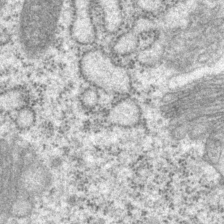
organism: P. pacificus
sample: Pharynx